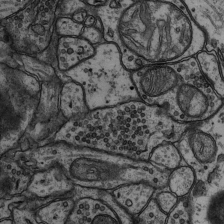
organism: Rat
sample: Hippocampus